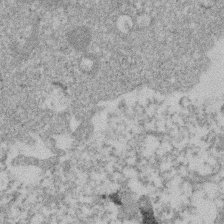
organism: Mouse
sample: Dividing mouse embryo 1 cell stage